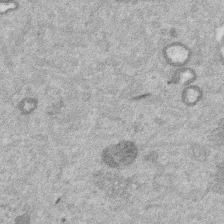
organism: Mouse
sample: Dividing mouse embryo 1 cell stage